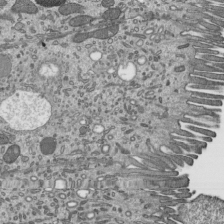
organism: Mouse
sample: Mouse epididymis efferent ductule cilia